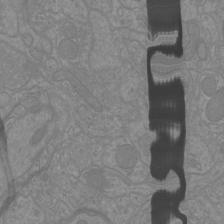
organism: Mouse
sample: Cortical neurons